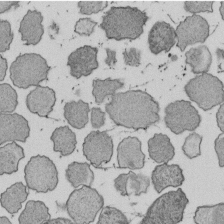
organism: E. coli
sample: Bacterial nucleoid